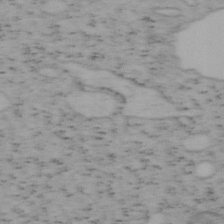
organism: Mouse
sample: OT-I killer T cells with ID8 ovarian cancer cells